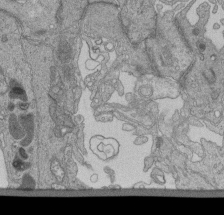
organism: Human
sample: Retinal organoid Rod and Cone cells